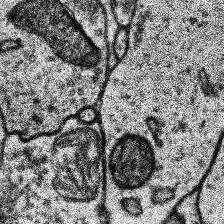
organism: Human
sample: Temporal Lobe